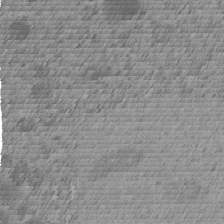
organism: C. elegans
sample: C. elegans embryo early stage